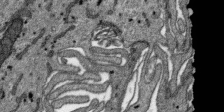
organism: Human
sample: Lung epithelial cells, uninfected (mock) control